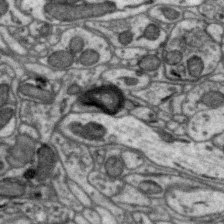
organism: Zebra finch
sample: Brain